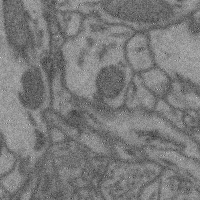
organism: Mouse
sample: Cerebral cortex